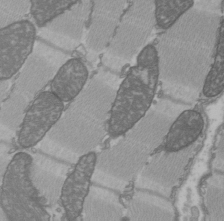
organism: C57BL Mouse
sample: Heart